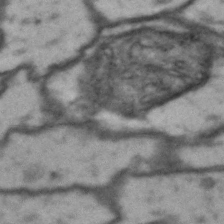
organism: Drosophila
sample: Brain